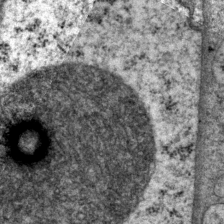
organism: P. pacificus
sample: Pharynx